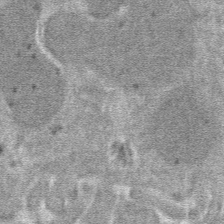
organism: Mouse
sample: Mouse hepatocytes